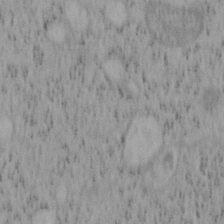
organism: Mouse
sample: OT-I killer T cells with ID8 ovarian cancer cells